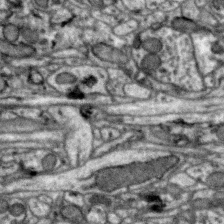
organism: Zebra finch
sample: Brain